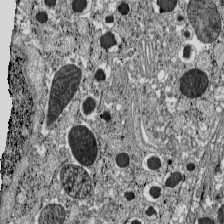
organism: C57BL Mouse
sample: Pancreatic islet